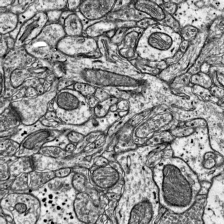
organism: Mouse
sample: Visual Cortex